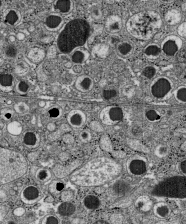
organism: C57BL Mouse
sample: Pancreatic islet